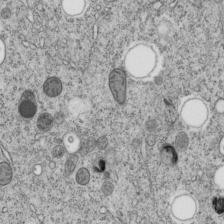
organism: C. elegans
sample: C. elegans embryo early stage